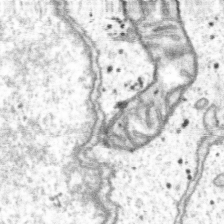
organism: Human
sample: HeLa cells